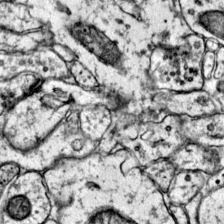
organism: Mouse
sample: Primary visual cortex